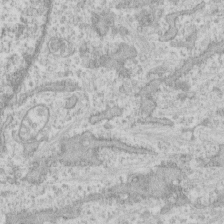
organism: Human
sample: CRL-1474